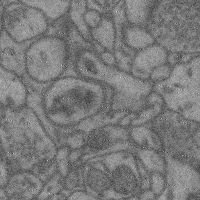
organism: Mouse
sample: Cerebral cortex